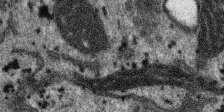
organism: Human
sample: Lung epithelial cells infected with SARS-CoV-2